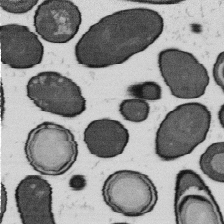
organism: B. subtilis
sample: Bacterial spore